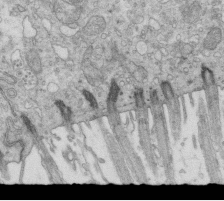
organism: Mouse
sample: Multiciliated cells